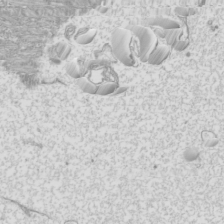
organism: Mouse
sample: Cilia; mouse epididymis